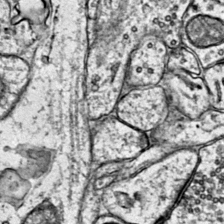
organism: Mouse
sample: Primary visual cortex